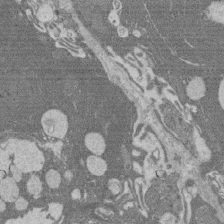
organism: Rat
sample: Salivary granule